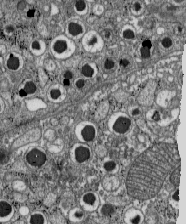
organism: C57BL Mouse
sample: Pancreatic islet